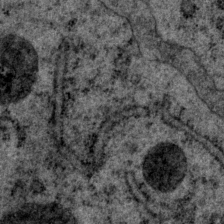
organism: P. pacificus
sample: Pharynx